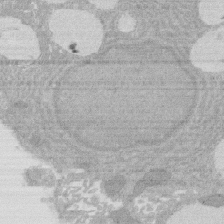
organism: Rat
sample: Salivary granule